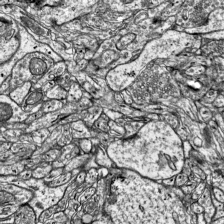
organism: Mouse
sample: Visual Cortex